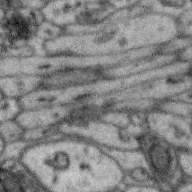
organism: Zebra finch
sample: Brain